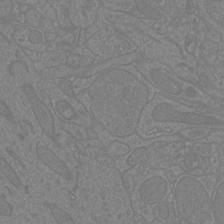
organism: Mouse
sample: Cortical neurons